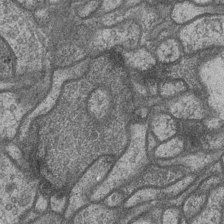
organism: Drosophila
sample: Optic medulla